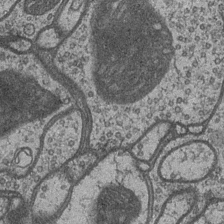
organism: Drosophila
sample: Optic medulla